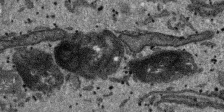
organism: Human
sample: Lung epithelial cells, uninfected (mock) control